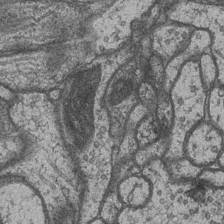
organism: Drosophila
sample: Optic medulla